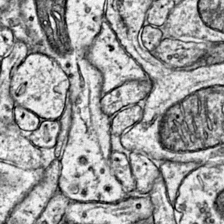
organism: Mouse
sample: Primary visual cortex